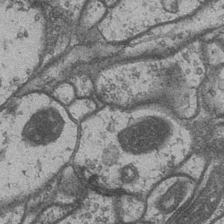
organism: Drosophila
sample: Optic medulla